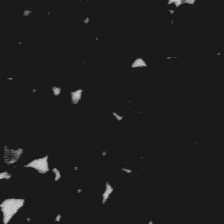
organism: Platynereis dumerilii